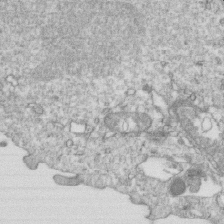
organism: Mouse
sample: Activated OT-1 CD8+ T cells